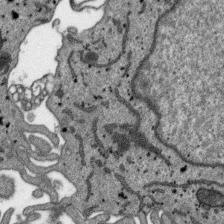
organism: Human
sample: Lung epithelial cells, uninfected (mock) control